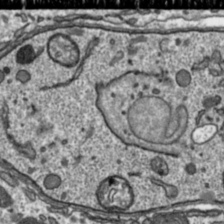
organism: Toxoplasma gondii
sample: Parasites in a vacuole inside a host cell